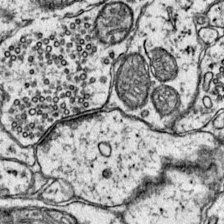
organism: Mouse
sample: Primary visual cortex